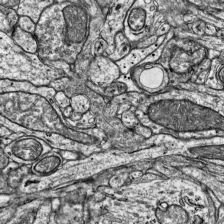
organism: Mouse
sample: Visual Cortex